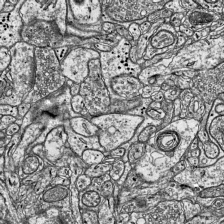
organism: Mouse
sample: Visual Cortex